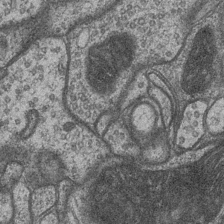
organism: Drosophila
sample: Optic medulla